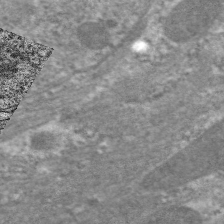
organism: C. elegans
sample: Pharynx